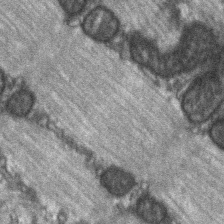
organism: C57BL Mouse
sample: Soleus